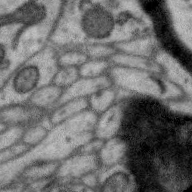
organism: Zebra finch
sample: Brain